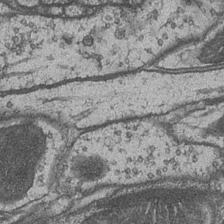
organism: Drosophila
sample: Optic medulla